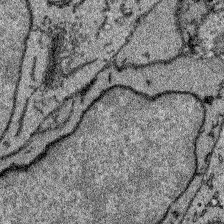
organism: Zebrafish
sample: Larval olfactory bulb